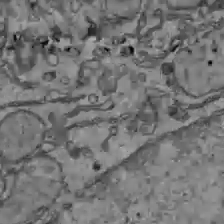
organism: C57BL Mouse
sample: Liver